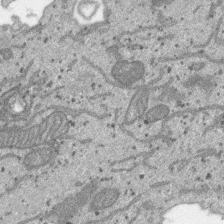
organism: Human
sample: Lung epithelial cells infected with SARS-CoV-2